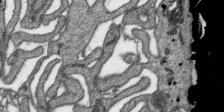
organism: Human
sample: Lung epithelial cells, uninfected (mock) control